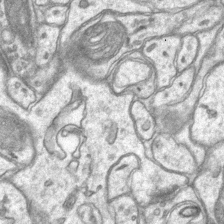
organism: Mouse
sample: CA1 Hippocampus